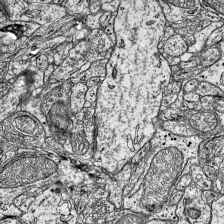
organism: Mouse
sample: Visual Cortex